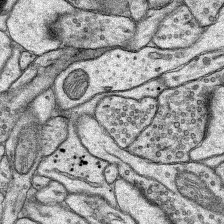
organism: Rat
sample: Hippocampus